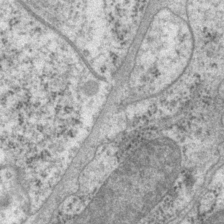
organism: P. pacificus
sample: Pharynx